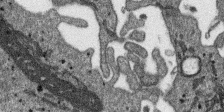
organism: Human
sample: Lung epithelial cells infected with SARS-CoV-2